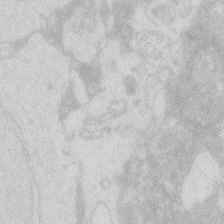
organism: Zebrafish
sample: Macrophage